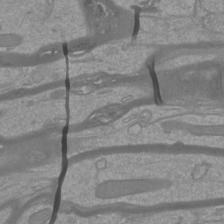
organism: Mouse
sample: Cortical neurons